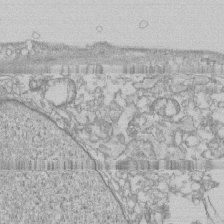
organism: Human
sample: CRL-1474